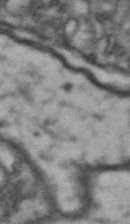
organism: Drosophila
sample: Brain